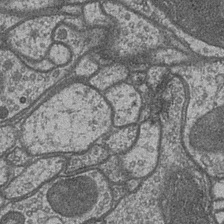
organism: Drosophila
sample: Optic medulla